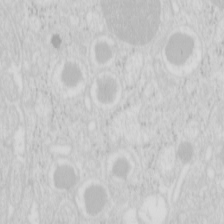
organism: Mouse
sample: Pancreas